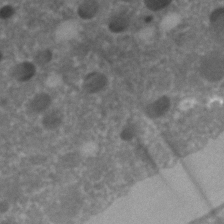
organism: C. elegans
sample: C. elegans embryo